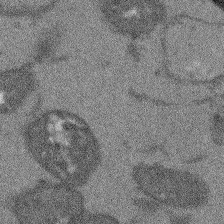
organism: Arabidopsis thaliana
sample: Root tip